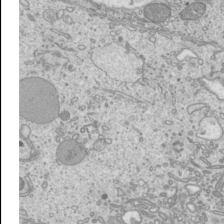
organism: Mouse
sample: Cilia; mouse epididymis